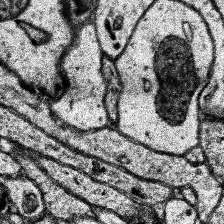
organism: Human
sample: Temporal Lobe